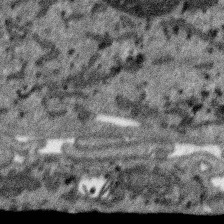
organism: Human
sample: Lung epithelial cells infected with SARS-CoV-2